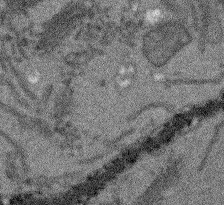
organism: Arabidopsis thaliana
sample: Root tip